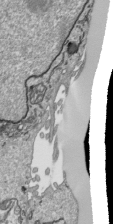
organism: Human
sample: Mitochondria in HCT116 cells